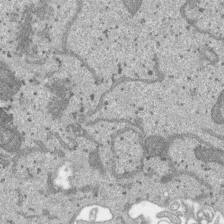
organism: Human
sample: Lung epithelial cells infected with SARS-CoV-2